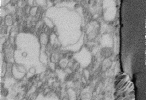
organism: Human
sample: Centriole in fibroblast cells